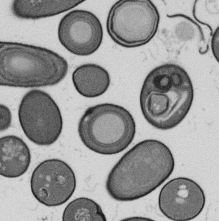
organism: B. subtilis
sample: Bacterial spore